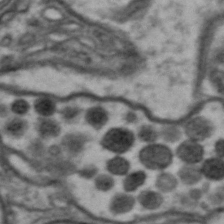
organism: Drosophila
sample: Brain